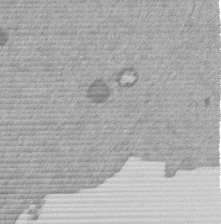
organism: Mouse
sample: Dividing mouse embryo 1 cell stage